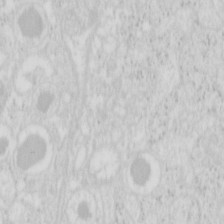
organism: Mouse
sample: Pancreas